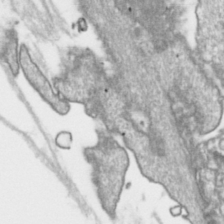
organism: Toxoplasma gondii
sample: Parasites in a vacuole inside a host cell